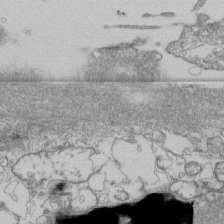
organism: Human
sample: Fibroblast cells